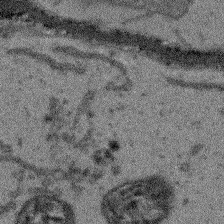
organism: Arabidopsis thaliana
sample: Root tip